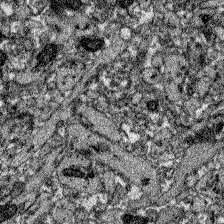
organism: Zebrafish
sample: Larval olfactory bulb